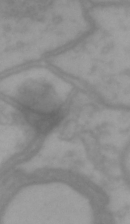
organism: Drosophila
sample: Brain